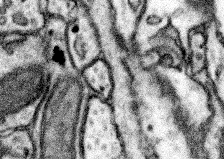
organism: Mouse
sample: Somatosensory cortex neuropil